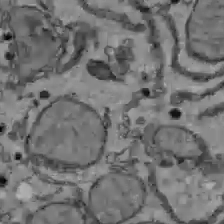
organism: C57BL Mouse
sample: Liver